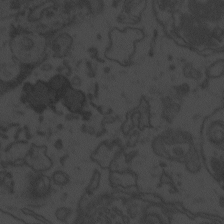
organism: Zebrafish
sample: Macrophage infected with Toxoplasma gondii